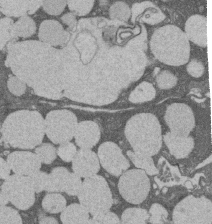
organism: Rat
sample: Salivary granule